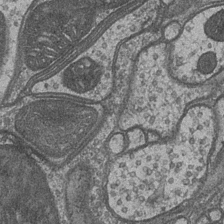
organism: Drosophila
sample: Optic medulla